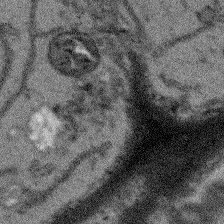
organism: Arabidopsis thaliana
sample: Root tip